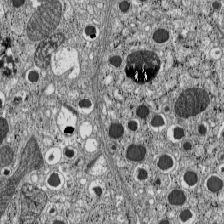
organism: C57BL Mouse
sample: Pancreatic islet